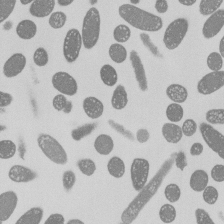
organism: E. coli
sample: Bacterial nucleoid